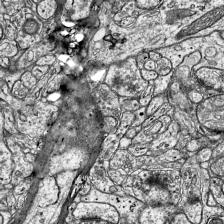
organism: Mouse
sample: Visual Cortex